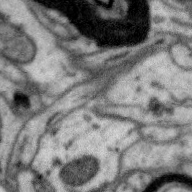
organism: Zebra finch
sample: Brain